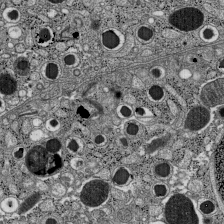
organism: C57BL Mouse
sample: Pancreatic islet